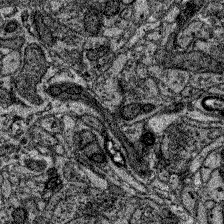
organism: Zebrafish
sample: Larval olfactory bulb